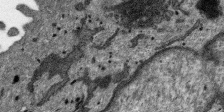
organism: Human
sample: Lung epithelial cells, uninfected (mock) control